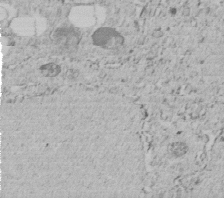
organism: C. elegans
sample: C. elegans embryo early stage